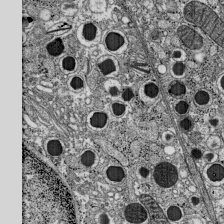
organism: C57BL Mouse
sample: Pancreatic islet